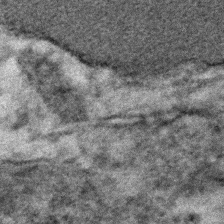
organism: Human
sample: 1205lu cells